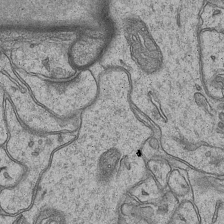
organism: Mouse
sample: CA1 Hippocampus